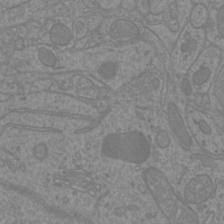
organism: Mouse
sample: Cortical neurons